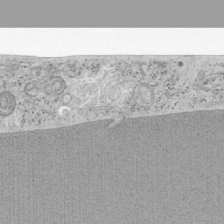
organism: Human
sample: HeLa cells